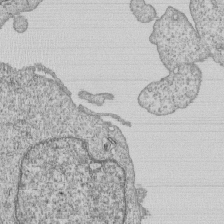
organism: Human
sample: MDA-MB-231 cells